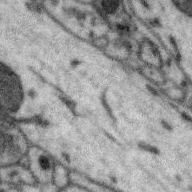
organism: Zebra finch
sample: Brain